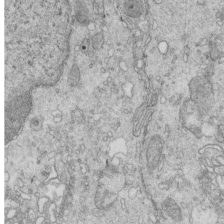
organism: Mouse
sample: Multiciliated cells